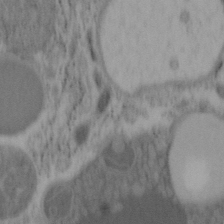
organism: Mouse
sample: OT-I killer T cells with ID8 ovarian cancer cells